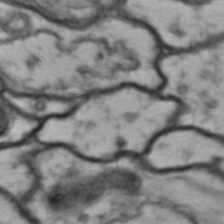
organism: Drosophila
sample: Brain